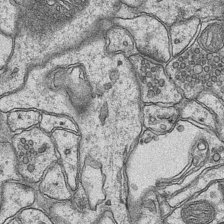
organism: Mouse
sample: CA1 Hippocampus